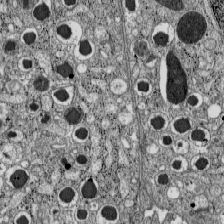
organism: C57BL Mouse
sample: Pancreatic islet